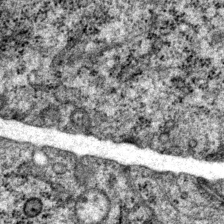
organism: P. pacificus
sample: Pharynx